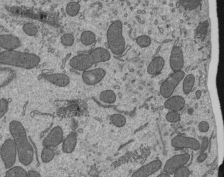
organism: Mouse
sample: Mouse epididymis efferent ductule cilia